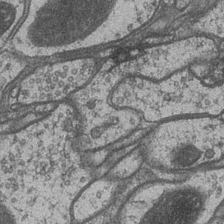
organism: Drosophila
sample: Optic medulla